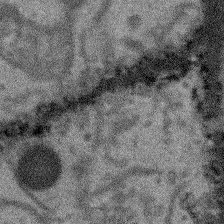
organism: Arabidopsis thaliana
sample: Root tip